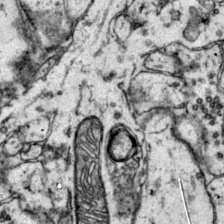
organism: Mouse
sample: Primary visual cortex